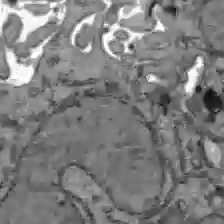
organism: C57BL Mouse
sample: Liver